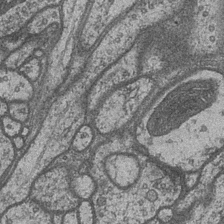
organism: Drosophila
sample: Optic medulla